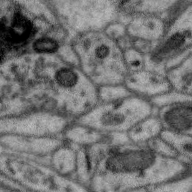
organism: Zebra finch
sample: Brain